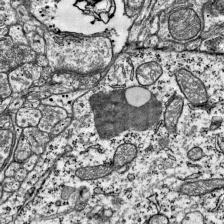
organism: Mouse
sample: Visual Cortex